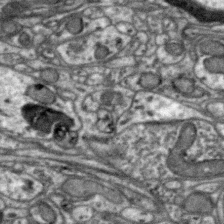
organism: Zebra finch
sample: Brain